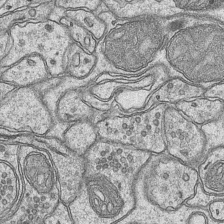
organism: Mouse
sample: CA1 Hippocampus